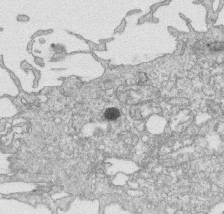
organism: Human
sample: HeLa cell HIV synapse